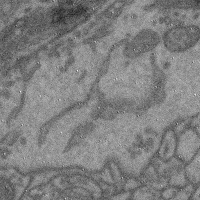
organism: Mouse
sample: Cerebral cortex